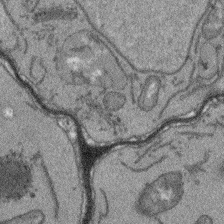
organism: Arabidopsis thaliana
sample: Root tip